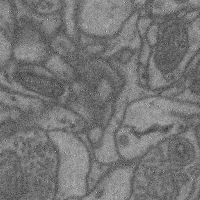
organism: Mouse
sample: Cerebral cortex